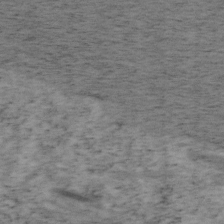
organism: Mouse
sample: OT-I killer T cells with ID8 ovarian cancer cells